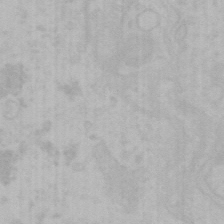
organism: Mouse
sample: Choroid plexus